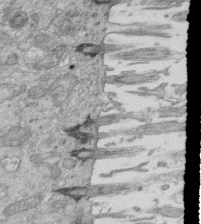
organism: Mouse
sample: Multiciliated cells